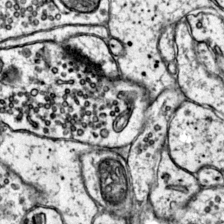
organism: Mouse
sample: Primary visual cortex